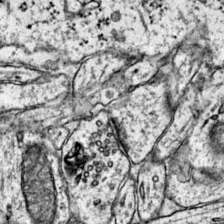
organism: Mouse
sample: Primary visual cortex